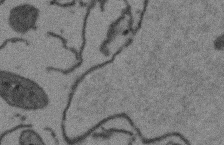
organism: Arabidopsis thaliana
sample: Root tip